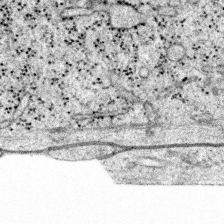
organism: Human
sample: HeLa cells